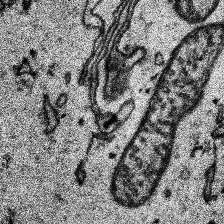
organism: Human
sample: Temporal Lobe